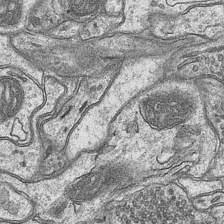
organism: Mouse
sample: CA1 Hippocampus